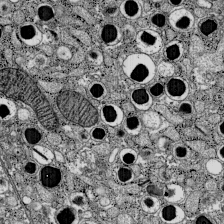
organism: C57BL Mouse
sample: Pancreatic islet